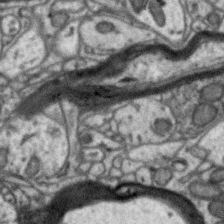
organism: Zebra finch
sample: Brain